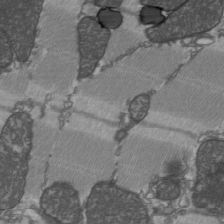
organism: C57BL Mouse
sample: Heart